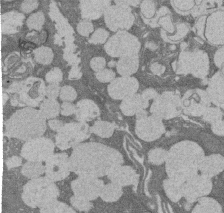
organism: Rat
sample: Salivary granule